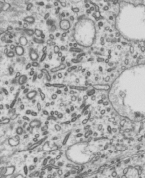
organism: Mouse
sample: Mouse epididymis efferent ductule cilia